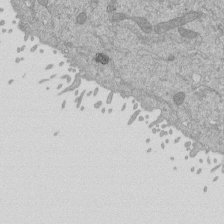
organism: Mouse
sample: ED-1 cell nuclei; centrioles